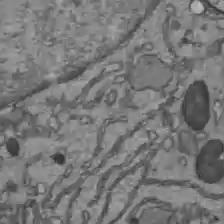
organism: C57BL Mouse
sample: Liver